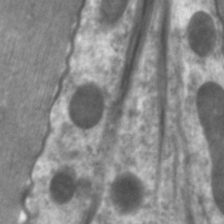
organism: C. elegans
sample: Pharynx